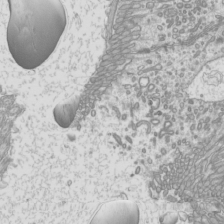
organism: Mouse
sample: Cilia; mouse epididymis